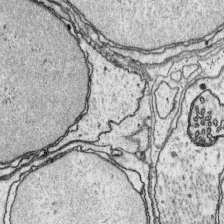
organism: Platynereis dumerilii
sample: Parapodia